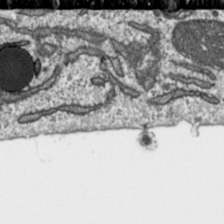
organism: Toxoplasma gondii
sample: Parasites in a vacuole inside a host cell